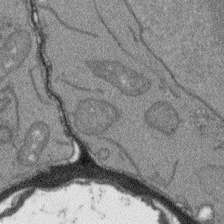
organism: Arabidopsis thaliana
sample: Root tip